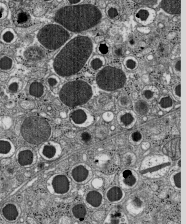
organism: C57BL Mouse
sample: Pancreatic islet